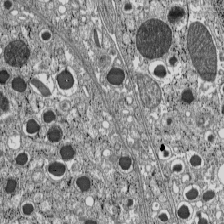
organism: C57BL Mouse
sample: Pancreatic islet